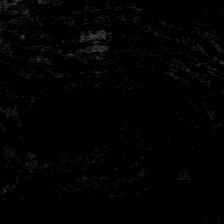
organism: Mouse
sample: Mouse hepatocytes